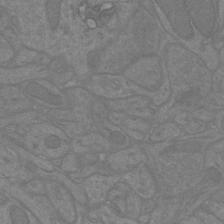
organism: Mouse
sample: Cortical neurons